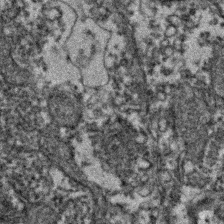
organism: Zebrafish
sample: Zebrafish embryo